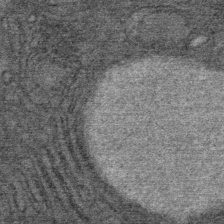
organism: Mouse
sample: Mouse Salivary gland